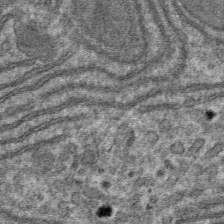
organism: Mouse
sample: Mouse hepatocytes